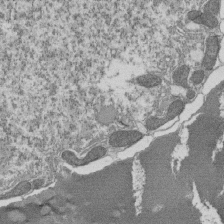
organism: Tetrahymena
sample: Cilia in tetrahymena